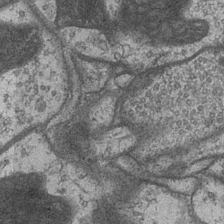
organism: Drosophila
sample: Optic medulla